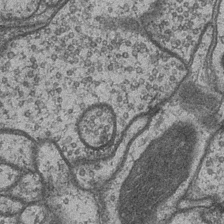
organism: Drosophila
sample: Optic medulla